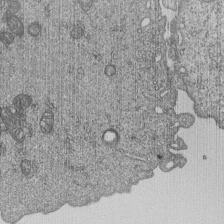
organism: Human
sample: MDA-MB-231 cells